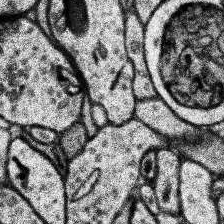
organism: Human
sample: Temporal Lobe